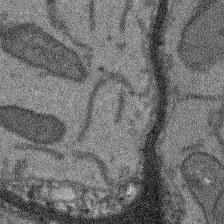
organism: Arabidopsis thaliana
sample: Root tip